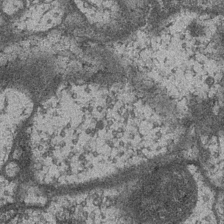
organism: Drosophila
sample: Optic medulla